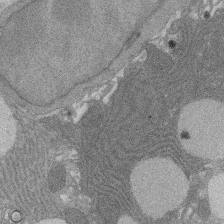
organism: Rat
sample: Salivary granule